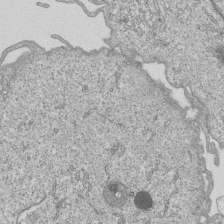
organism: Human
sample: MDA-MB-231 cells